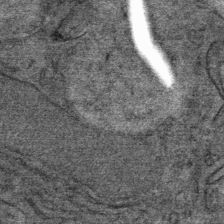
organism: Mouse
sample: Mouse Salivary gland